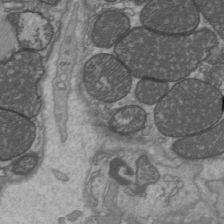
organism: C57BL Mouse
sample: Heart